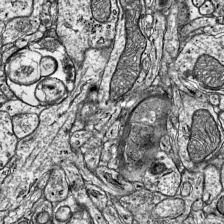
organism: Mouse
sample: Visual Cortex